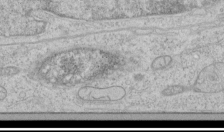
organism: Human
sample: Mitochondria in HCT116 cells